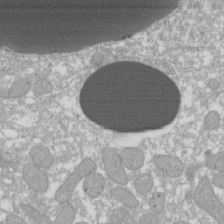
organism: Xenopus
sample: Cilia; centrioles in frog embryo cells